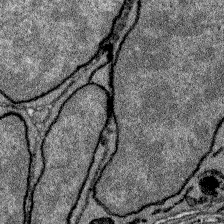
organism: Zebrafish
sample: Larval olfactory bulb